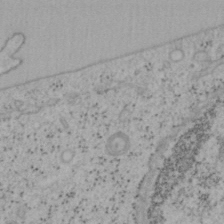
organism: Human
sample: HeLa cells